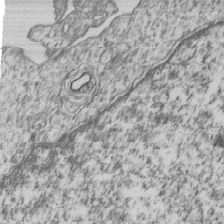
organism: Human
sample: MDA-MB-231 cells